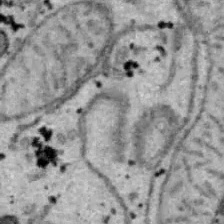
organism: Mouse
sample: Liver from an obese (ob/ob) mouse